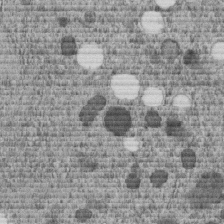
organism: C. elegans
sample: C. elegans embryo early stage